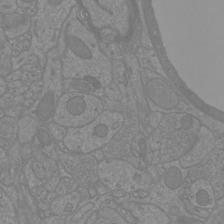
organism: Mouse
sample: Cortical neurons